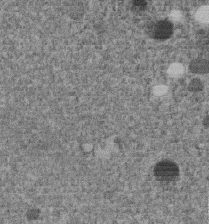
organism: C. elegans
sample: C. elegans embryo early stage